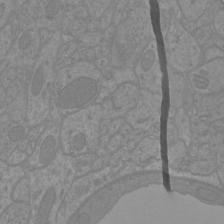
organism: Mouse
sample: Cortical neurons